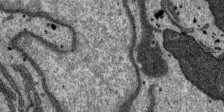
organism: Human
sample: Lung epithelial cells, uninfected (mock) control